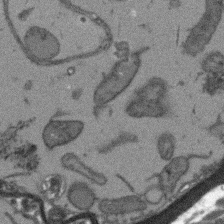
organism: Arabidopsis thaliana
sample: Root tip